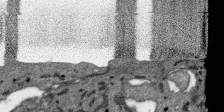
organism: Human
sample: Lung epithelial cells, uninfected (mock) control